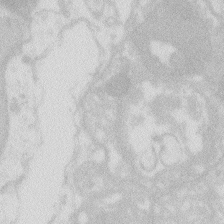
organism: Zebrafish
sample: Macrophage